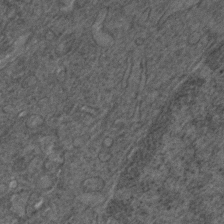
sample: Trachea